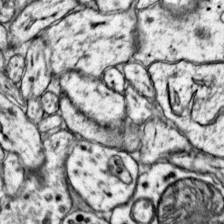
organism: Mouse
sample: Primary visual cortex